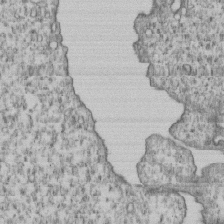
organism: Human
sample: MDA-MB-231 cells